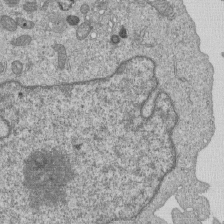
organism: Human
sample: MDA-MB-231 cells